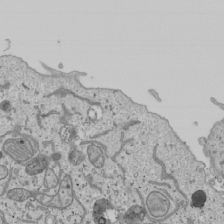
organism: Human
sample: Mitochondria in U2OS cells